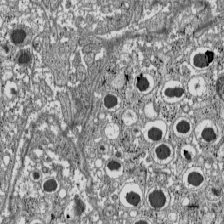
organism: C57BL Mouse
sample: Pancreatic islet